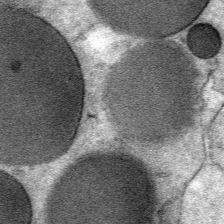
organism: Mouse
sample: Mouse Salivary gland